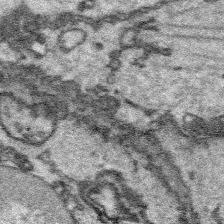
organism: Platynereis dumerilii